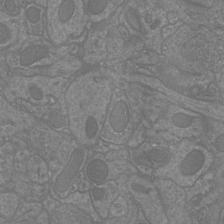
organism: Mouse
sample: Cortical neurons